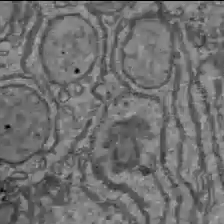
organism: C57BL Mouse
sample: Liver